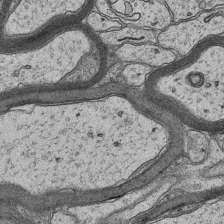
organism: Mouse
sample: CA1 Hippocampus